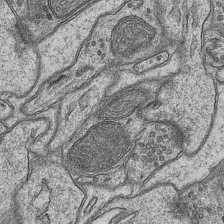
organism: Mouse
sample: CA1 Hippocampus